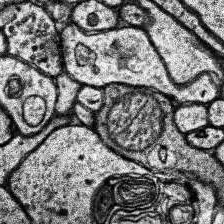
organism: Human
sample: Temporal Lobe